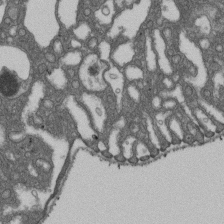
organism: Drosophila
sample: Nephrocyte